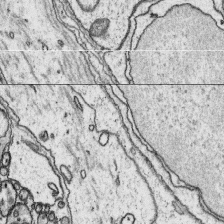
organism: Platynereis dumerilii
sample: Parapodia